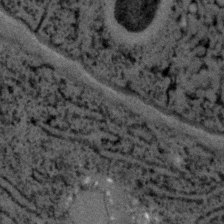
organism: C. elegans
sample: C. elegans embryo